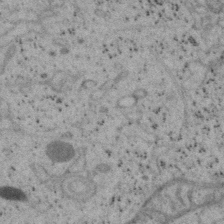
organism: Human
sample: HeLa cells